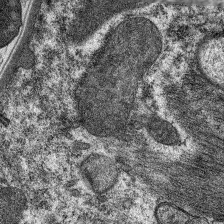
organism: C. elegans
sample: Pharynx